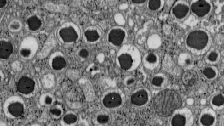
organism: C57BL Mouse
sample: Pancreatic islet